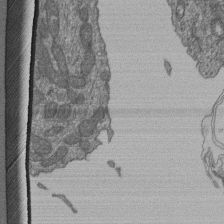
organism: Human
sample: Retinal organoid Rod and Cone cells